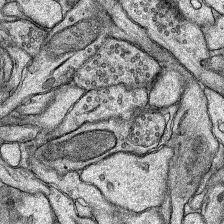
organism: Rat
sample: Hippocampus